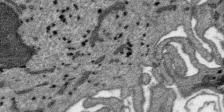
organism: Human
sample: Lung epithelial cells, uninfected (mock) control